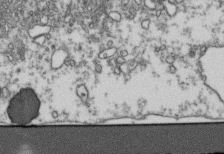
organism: Human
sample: Activated Jurkat CD4+ T cells